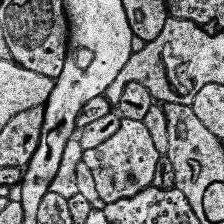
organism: Human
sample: Temporal Lobe